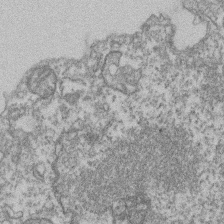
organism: Mouse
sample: T cell stromal cell synapse